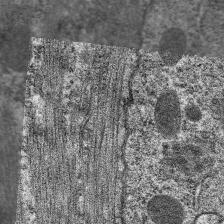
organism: C. elegans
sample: Pharynx